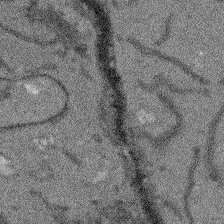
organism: Arabidopsis thaliana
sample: Root tip